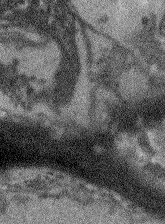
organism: Arabidopsis thaliana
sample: Root tip